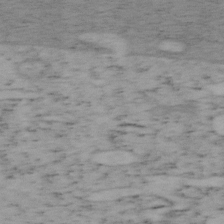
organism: Mouse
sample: OT-I killer T cells with ID8 ovarian cancer cells